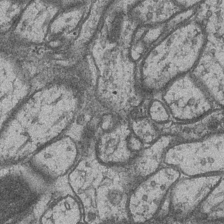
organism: Drosophila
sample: Optic medulla